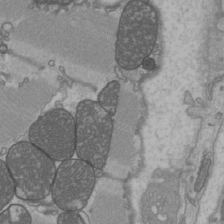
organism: C57BL Mouse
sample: Heart